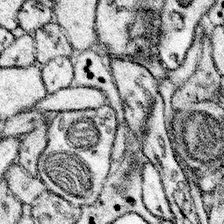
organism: Mouse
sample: Somatosensory cortex neuropil